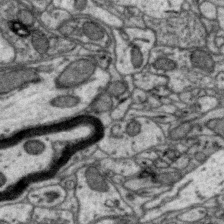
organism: Zebra finch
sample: Brain